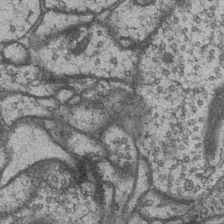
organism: Drosophila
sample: Optic medulla